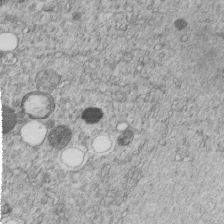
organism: C. elegans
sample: C. elegans embryo early stage